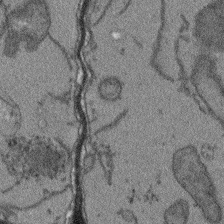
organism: Arabidopsis thaliana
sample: Root tip